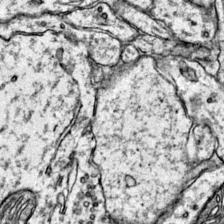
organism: Mouse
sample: Primary visual cortex